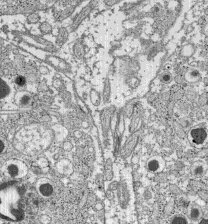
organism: C57BL Mouse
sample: Pancreatic islet